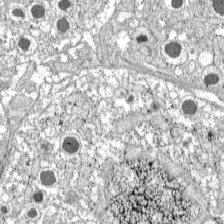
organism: C57BL Mouse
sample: Pancreatic islet